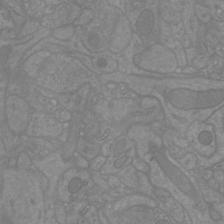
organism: Mouse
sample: Cortical neurons